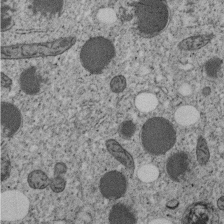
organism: C. elegans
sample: C. elegans embryo early stage